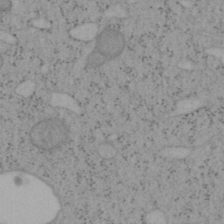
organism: Mouse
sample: OT-I killer T cells with ID8 ovarian cancer cells